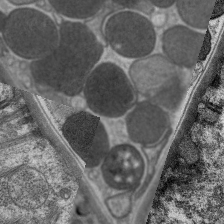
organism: C. elegans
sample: Pharynx